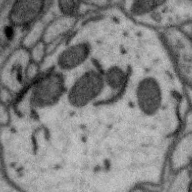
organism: Zebra finch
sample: Brain